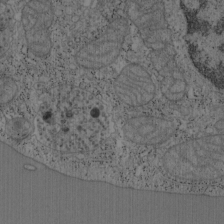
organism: Mouse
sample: OT-I killer T cells with ID8 ovarian cancer cells